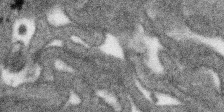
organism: Human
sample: Lung epithelial cells infected with SARS-CoV-2